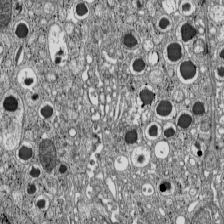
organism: C57BL Mouse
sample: Pancreatic islet